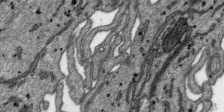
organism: Human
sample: Lung epithelial cells, uninfected (mock) control